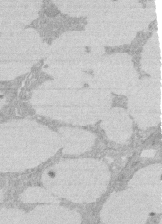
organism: Rat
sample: Salivary granule